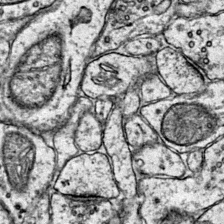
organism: Mouse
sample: Primary visual cortex